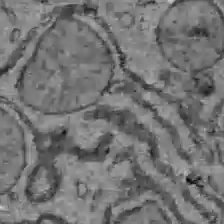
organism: C57BL Mouse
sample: Liver